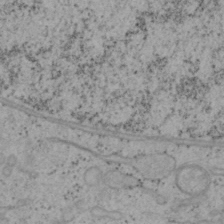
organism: Human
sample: HeLa cells